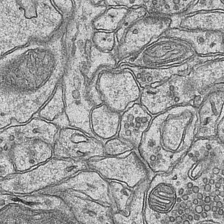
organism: Mouse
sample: CA1 Hippocampus